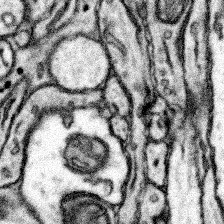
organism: Mouse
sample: Somatosensory cortex neuropil